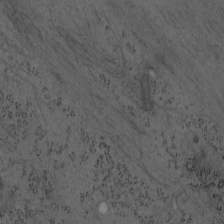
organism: Mouse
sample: OT-I killer T cells with ID8 ovarian cancer cells